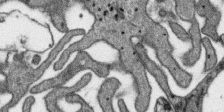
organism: Human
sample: Lung epithelial cells, uninfected (mock) control